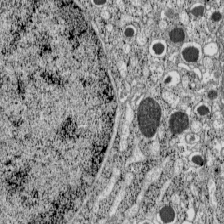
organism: C57BL Mouse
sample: Pancreatic islet